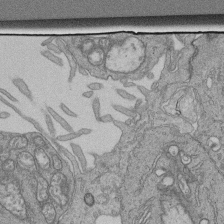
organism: Human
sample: Retinal organoid Rod and Cone cells